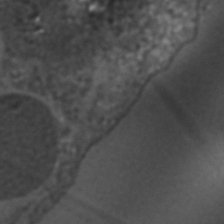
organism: C. elegans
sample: C. elegans embryo